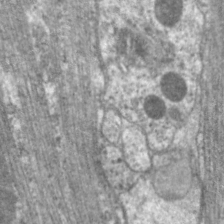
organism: C. elegans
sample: Pharynx